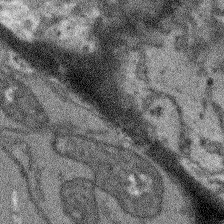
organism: Arabidopsis thaliana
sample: Root tip